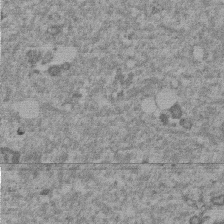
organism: Mouse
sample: Dividing mouse embryo 1 cell stage